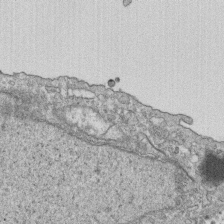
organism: Human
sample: HeLa cell HIV synapse